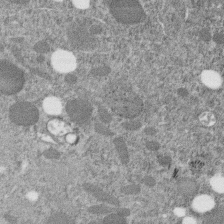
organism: C. elegans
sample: C. elegans embryo early stage